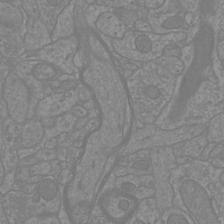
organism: Mouse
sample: Cortical neurons